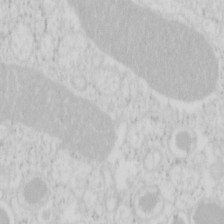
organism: Mouse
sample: Pancreas